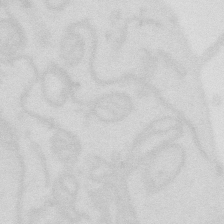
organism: Human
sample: HeLa cells